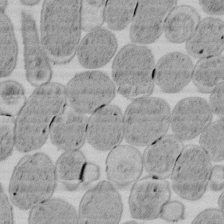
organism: E. coli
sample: Bacterial nucleoid